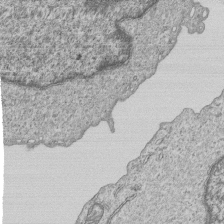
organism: Human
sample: MDA-MB-231 cells